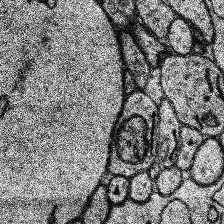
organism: Human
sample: Temporal Lobe